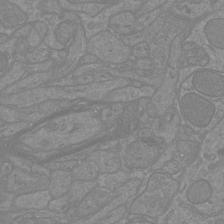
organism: Mouse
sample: Cortical neurons